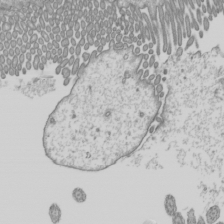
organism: Mouse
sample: Cilia; mouse epididymis